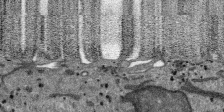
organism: Human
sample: Lung epithelial cells, uninfected (mock) control